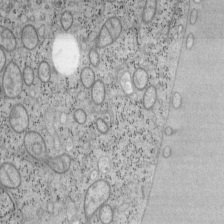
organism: Mouse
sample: OT-I killer T cells with ID8 ovarian cancer cells